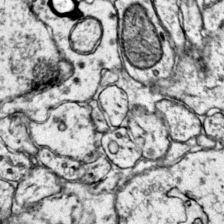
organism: Mouse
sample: Primary visual cortex